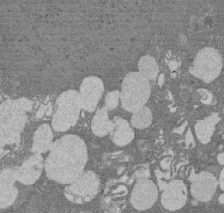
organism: Rat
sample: Salivary granule